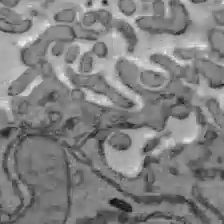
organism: C57BL Mouse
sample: Liver